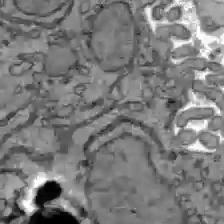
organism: C57BL Mouse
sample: Liver